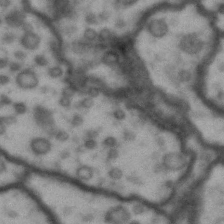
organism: Drosophila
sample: Brain